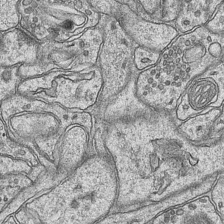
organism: Mouse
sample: CA1 Hippocampus